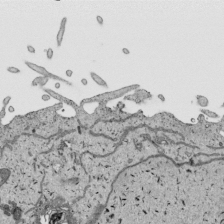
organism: Human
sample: Mitochondria in HCT116 cells